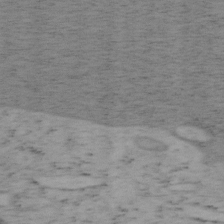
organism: Mouse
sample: OT-I killer T cells with ID8 ovarian cancer cells